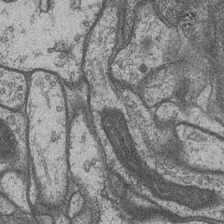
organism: Drosophila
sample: Optic medulla